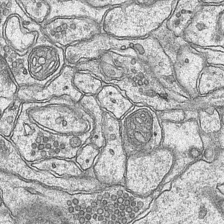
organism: Mouse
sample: CA1 Hippocampus